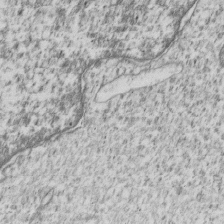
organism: Human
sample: MDA-MB-231 cells